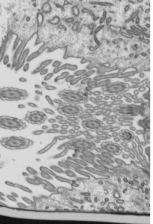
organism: Mouse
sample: Mouse epididymis efferent ductule cilia